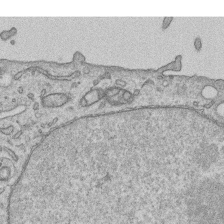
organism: Human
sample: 1205lu cells